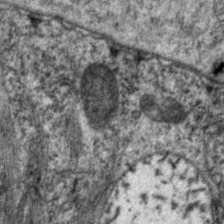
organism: C. elegans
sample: Pharynx